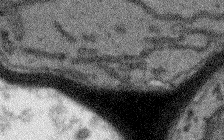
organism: Arabidopsis thaliana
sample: Root tip